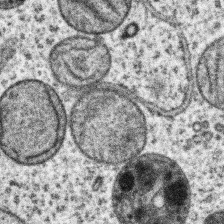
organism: Human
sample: HeLa cells